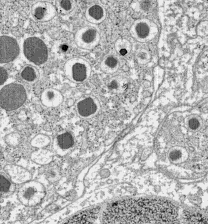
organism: C57BL Mouse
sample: Pancreatic islet